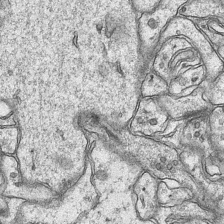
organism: Mouse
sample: CA1 Hippocampus